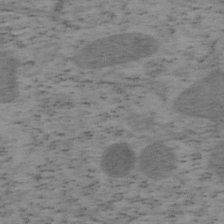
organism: Mouse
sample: OT-I killer T cells with ID8 ovarian cancer cells